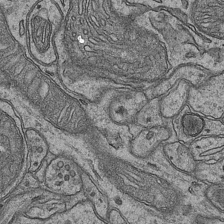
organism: Mouse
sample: CA1 Hippocampus